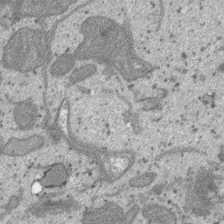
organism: Human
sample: Lung epithelial cells infected with SARS-CoV-2